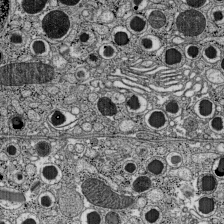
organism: C57BL Mouse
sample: Pancreatic islet